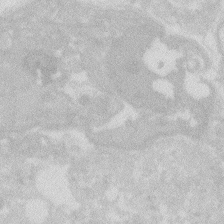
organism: Zebrafish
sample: Macrophage